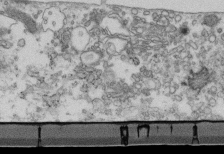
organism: Mouse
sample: Cilia; retinal pigment epithelium